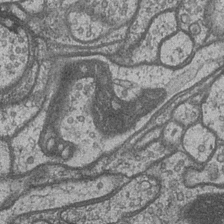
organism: Drosophila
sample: Optic medulla